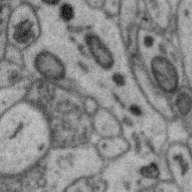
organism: Zebra finch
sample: Brain